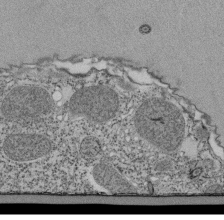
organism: Tetrahymena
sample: Cilia in tetrahymena